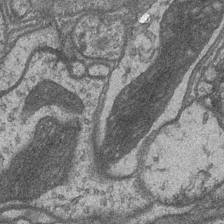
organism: Drosophila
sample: Optic medulla